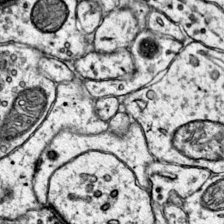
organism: Mouse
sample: Primary visual cortex